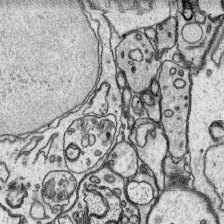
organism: Platynereis dumerilii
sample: Parapodia